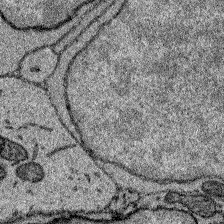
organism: Zebrafish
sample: Larval olfactory bulb